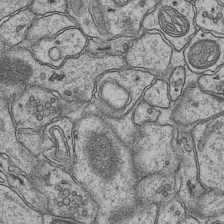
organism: Mouse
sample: CA1 Hippocampus